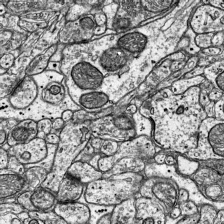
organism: Mouse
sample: Visual Cortex